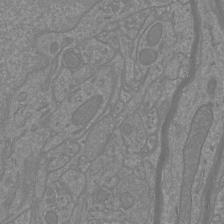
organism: Mouse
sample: Cortical neurons